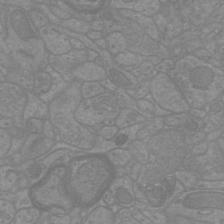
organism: Mouse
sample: Cortical neurons